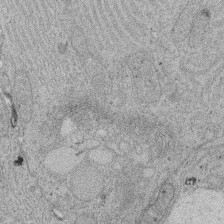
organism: Rat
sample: Salivary granule